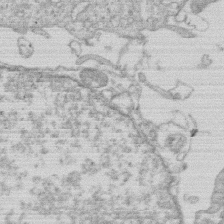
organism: Human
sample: Macrophage cells